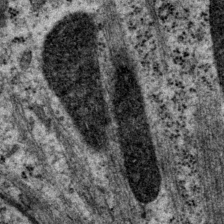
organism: P. pacificus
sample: Pharynx